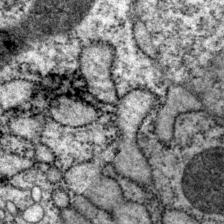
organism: P. pacificus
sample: Pharynx